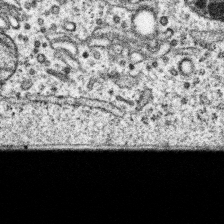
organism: Human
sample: HeLa cells